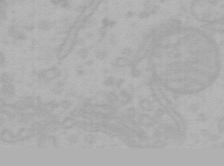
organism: Mouse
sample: Choroid plexus